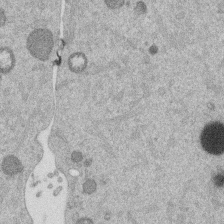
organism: Mouse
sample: Dividing mouse embryo 1 cell stage